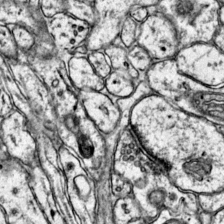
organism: Mouse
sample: Primary visual cortex